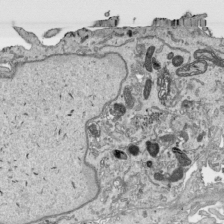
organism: Human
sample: Mitochondria in HCT116 cells